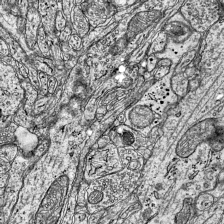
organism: Mouse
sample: Visual Cortex